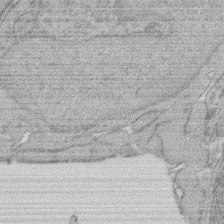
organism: Rat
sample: Salivary granule